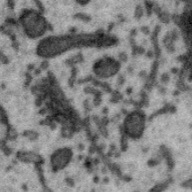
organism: Zebra finch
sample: Brain